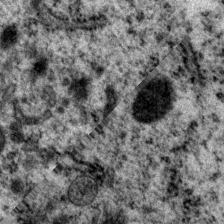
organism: P. pacificus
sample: Pharynx